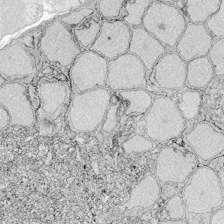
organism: Zebrafish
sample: Whole-Brain